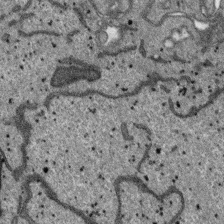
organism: Human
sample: Lung epithelial cells, uninfected (mock) control